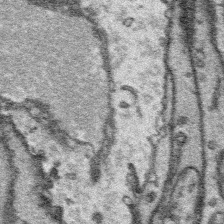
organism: Platynereis dumerilii